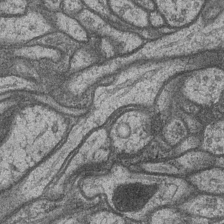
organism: Drosophila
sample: Optic medulla